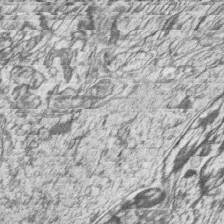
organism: Zebrafish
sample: synaptic ribbons in rod cells and cone cells